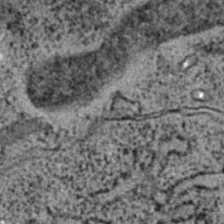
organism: C. elegans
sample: C. elegans embryo